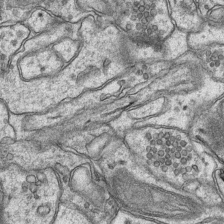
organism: Mouse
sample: CA1 Hippocampus